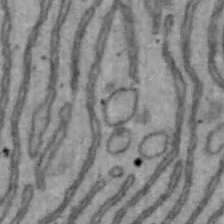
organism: Mouse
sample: Liver